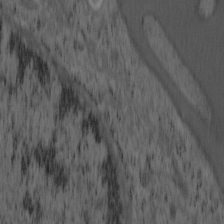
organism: Human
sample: HeLa cells